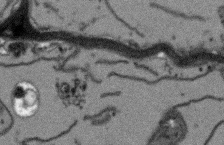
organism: Arabidopsis thaliana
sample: Root tip